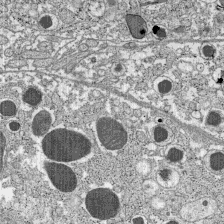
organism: C57BL Mouse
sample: Pancreatic islet